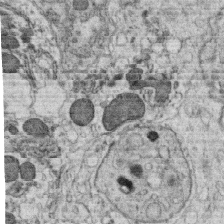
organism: C. elegans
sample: C. elegans oocyte; sperm cells